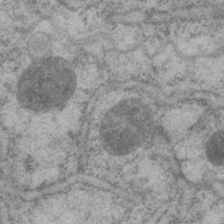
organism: P. pacificus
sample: Pharynx